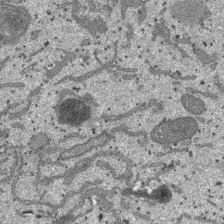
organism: Human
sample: Lung epithelial cells infected with SARS-CoV-2